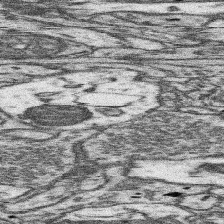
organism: Mouse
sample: Somatosensory cortex neuropil